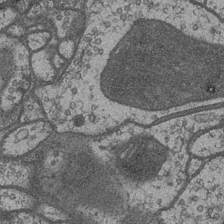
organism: Drosophila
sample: Optic medulla